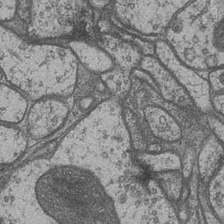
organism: Drosophila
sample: Optic medulla